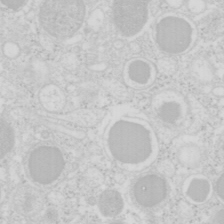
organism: Mouse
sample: Pancreas